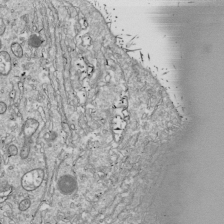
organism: Drosophila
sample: Cell division; meiosis; drosophila spermatocytes